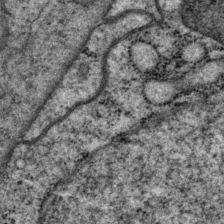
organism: P. pacificus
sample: Pharynx